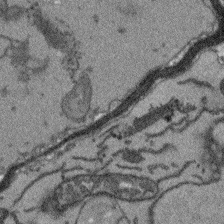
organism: Arabidopsis thaliana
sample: Root tip